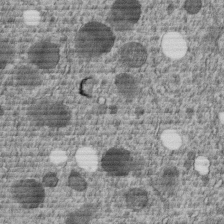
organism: C. elegans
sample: C. elegans embryo early stage